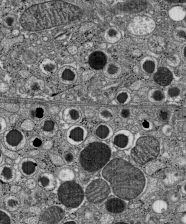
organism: C57BL Mouse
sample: Pancreatic islet